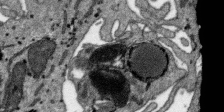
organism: Human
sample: Lung epithelial cells, uninfected (mock) control